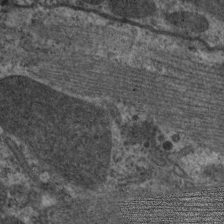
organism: C. elegans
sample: Pharynx